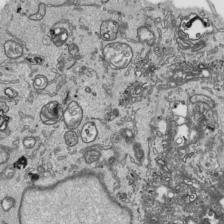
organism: Human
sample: Mitochondria in HCT116 cells